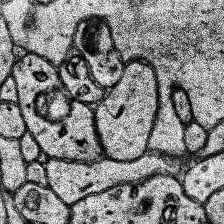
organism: Human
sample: Temporal Lobe